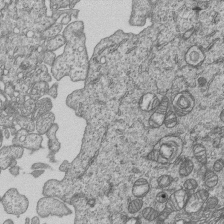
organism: Human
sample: MDA-MB-231 cells